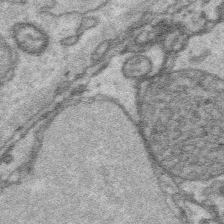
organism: Platynereis dumerilii